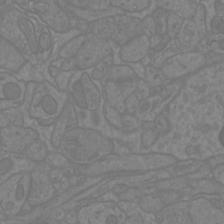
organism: Mouse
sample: Cortical neurons